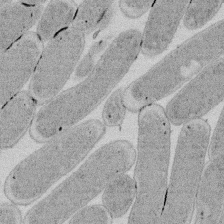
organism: E. coli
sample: Bacterial nucleoid